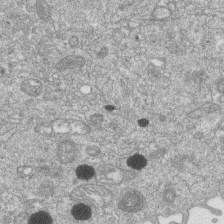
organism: Human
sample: HeLa cell HIV synapse